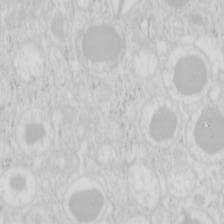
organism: Mouse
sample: Pancreas